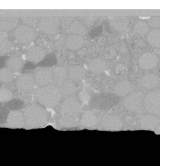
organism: C. elegans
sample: C. elegans oocyte; sperm cells